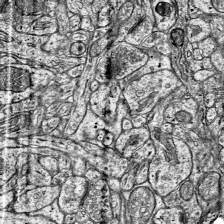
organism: Mouse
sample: Visual Cortex